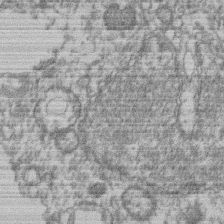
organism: Mouse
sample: T cell stromal cell synapse